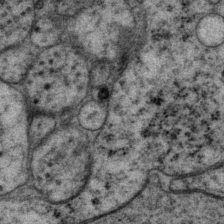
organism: P. pacificus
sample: Pharynx